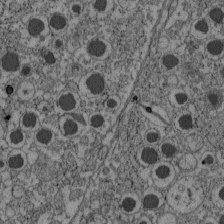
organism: C57BL Mouse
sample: Pancreatic islet